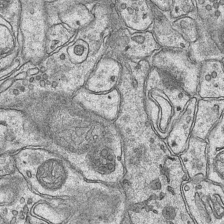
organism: Mouse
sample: CA1 Hippocampus